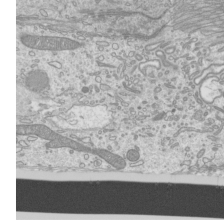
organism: Mouse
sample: Cilia; mouse epididymis